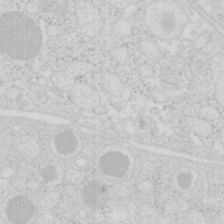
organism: Mouse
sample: Pancreas